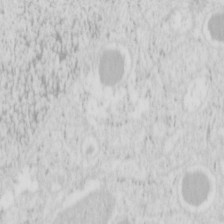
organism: Mouse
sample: Pancreas